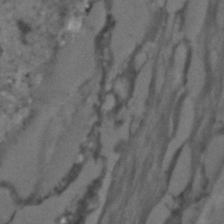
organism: C. elegans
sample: C. elegans embryo